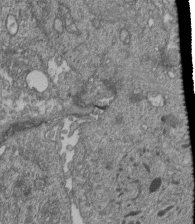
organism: Human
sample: Retinal organoid Rod and Cone cells